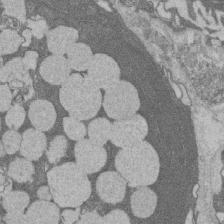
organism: Rat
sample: Salivary granule